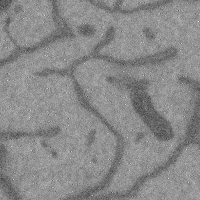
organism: Mouse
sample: Cerebral cortex